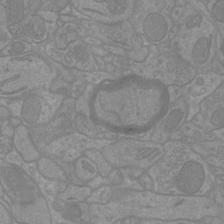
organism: Mouse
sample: Cortical neurons